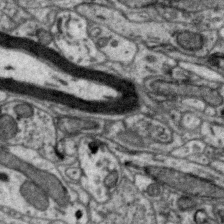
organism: Zebra finch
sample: Brain